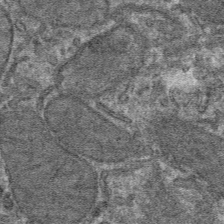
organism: Mouse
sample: Mouse hepatocytes